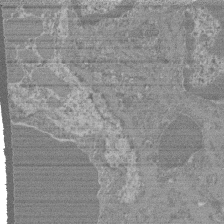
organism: Mouse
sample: Glomerulus